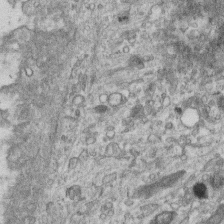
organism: Mouse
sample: Centriole in ependymal cells